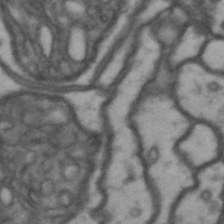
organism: Drosophila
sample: Brain